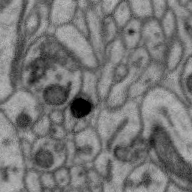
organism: Zebra finch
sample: Brain